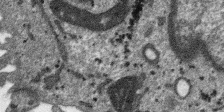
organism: Human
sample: Lung epithelial cells infected with SARS-CoV-2